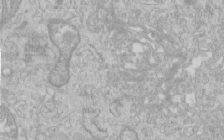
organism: Human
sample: Centriole in RPE cells